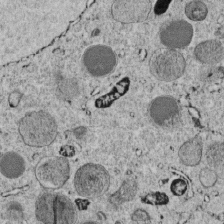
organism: C. elegans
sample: C. elegans embryo early stage